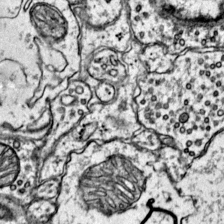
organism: Mouse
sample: Primary visual cortex